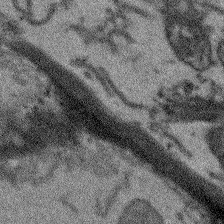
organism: Arabidopsis thaliana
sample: Root tip